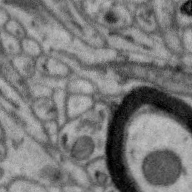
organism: Zebra finch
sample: Brain